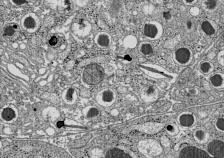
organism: C57BL Mouse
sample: Pancreatic islet